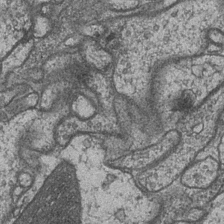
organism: Drosophila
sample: Optic medulla